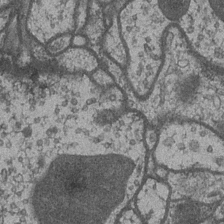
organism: Drosophila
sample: Optic medulla